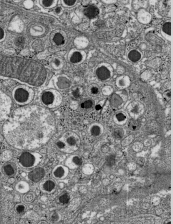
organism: C57BL Mouse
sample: Pancreatic islet